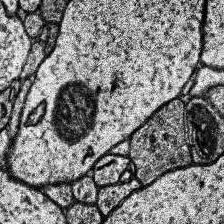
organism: Human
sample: Temporal Lobe